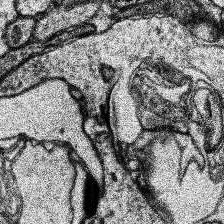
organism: Human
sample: Temporal Lobe